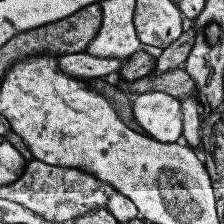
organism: Human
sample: Temporal Lobe